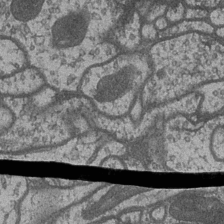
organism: Drosophila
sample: Optic medulla